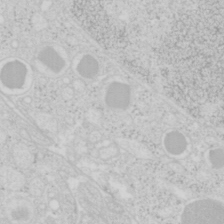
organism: Mouse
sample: Pancreas